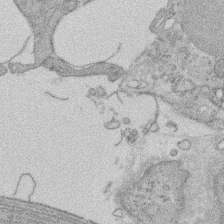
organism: Rat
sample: Salivary granule